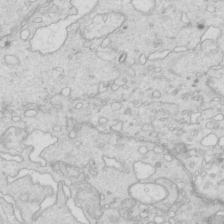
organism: Mouse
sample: Multiciliated cells